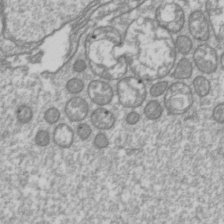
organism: Drosophila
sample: Cell division; meiosis; drosophila spermatocytes